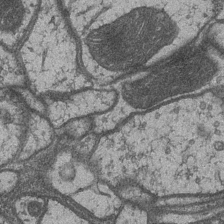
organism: Drosophila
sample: Optic medulla